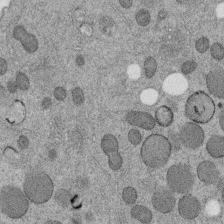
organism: C. elegans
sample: C. elegans embryo early stage